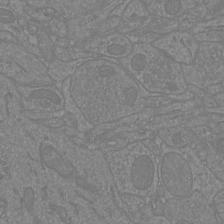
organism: Mouse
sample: Cortical neurons